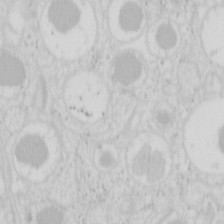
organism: Mouse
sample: Pancreas